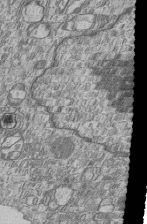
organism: Human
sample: MDA-MB-231 cells